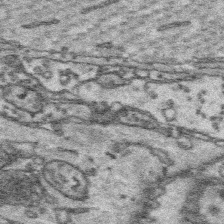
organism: Platynereis dumerilii